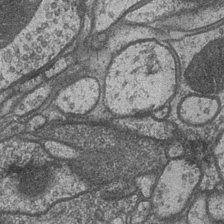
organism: Drosophila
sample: Optic medulla